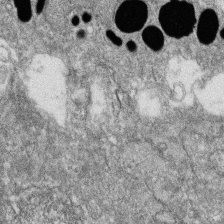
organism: Zebrafish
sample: Cilia; retinal pigment epithelium